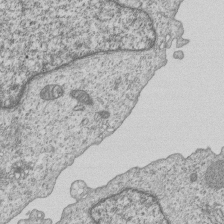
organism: Human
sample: MDA-MB-231 cells